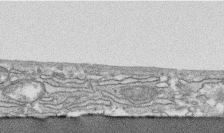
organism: Human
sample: CRL-1474